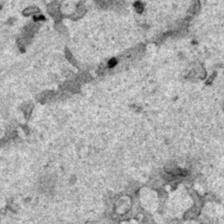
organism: Human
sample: Mitochondria in HCT116 cells